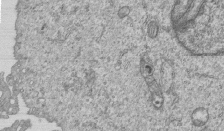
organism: Human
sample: MDA-MB-231 cells